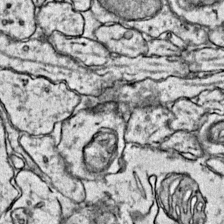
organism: Mouse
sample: Primary visual cortex